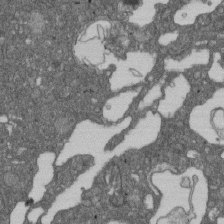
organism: Drosophila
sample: Nephrocyte